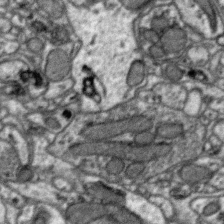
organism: Zebra finch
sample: Brain